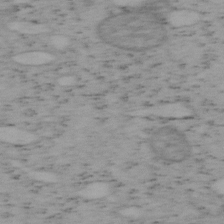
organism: Mouse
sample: OT-I killer T cells with ID8 ovarian cancer cells